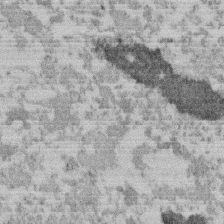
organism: Mouse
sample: Dividing mouse embryo 1 cell stage